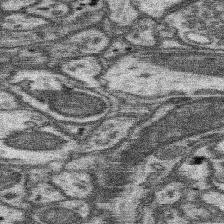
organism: Mouse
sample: Somatosensory cortex neuropil